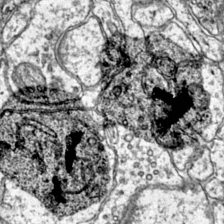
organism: Mouse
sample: Primary visual cortex